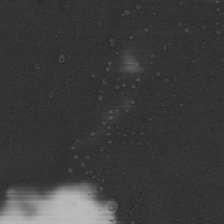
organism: Mouse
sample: Cilia; mouse epididymis